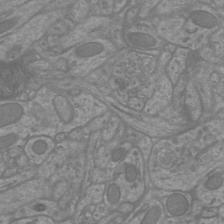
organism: Mouse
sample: Cortical neurons